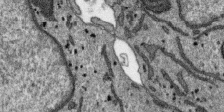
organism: Human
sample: Lung epithelial cells, uninfected (mock) control